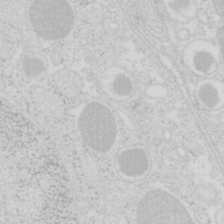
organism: Mouse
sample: Pancreas